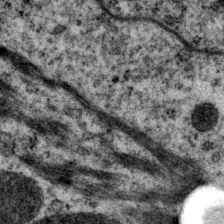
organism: P. pacificus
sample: Pharynx